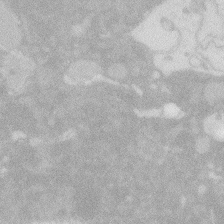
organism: Zebrafish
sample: Macrophage